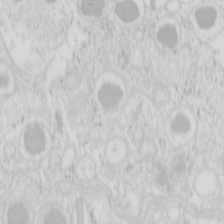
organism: Mouse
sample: Pancreas